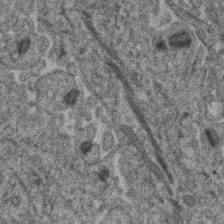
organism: Human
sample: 1205lu cells